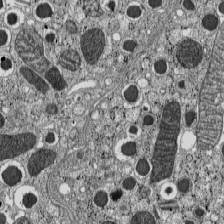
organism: C57BL Mouse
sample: Pancreatic islet